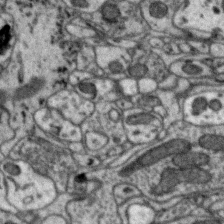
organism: Zebra finch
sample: Brain